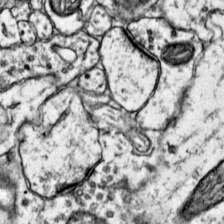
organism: Mouse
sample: Primary visual cortex